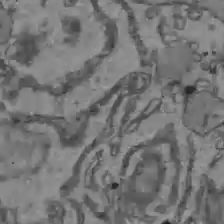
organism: C57BL Mouse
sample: Liver